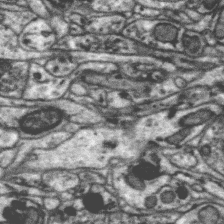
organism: Zebra finch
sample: Brain